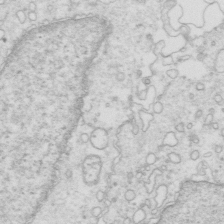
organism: Mouse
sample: Multiciliated cells